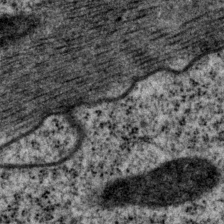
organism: P. pacificus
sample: Pharynx